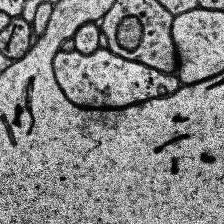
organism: Human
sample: Temporal Lobe